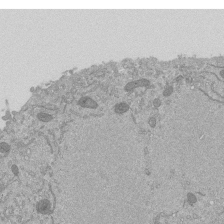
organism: Mouse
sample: ED-1 cell nuclei; centrioles